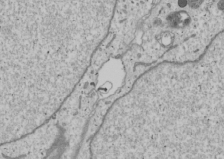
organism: Human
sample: Mitochondria in U2OS cells